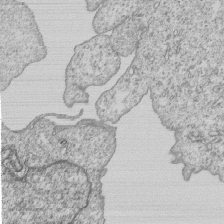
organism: Human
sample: MDA-MB-231 cells